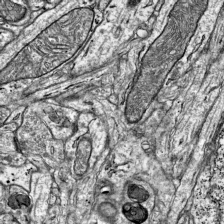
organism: Mouse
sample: Visual Cortex